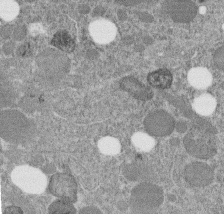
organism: C. elegans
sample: C. elegans embryo early stage